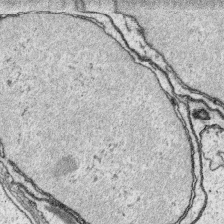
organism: Platynereis dumerilii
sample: Parapodia